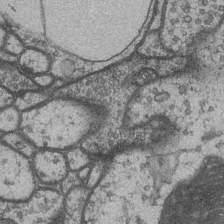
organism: Drosophila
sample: Optic medulla